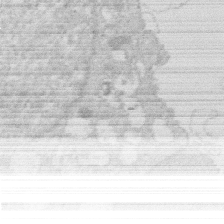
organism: Human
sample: Macrophage cells